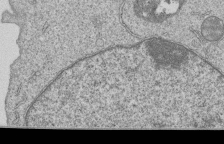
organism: Human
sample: MDA-MB-231 cells